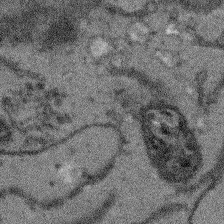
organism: Arabidopsis thaliana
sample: Root tip